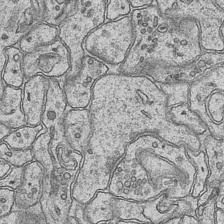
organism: Mouse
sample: CA1 Hippocampus